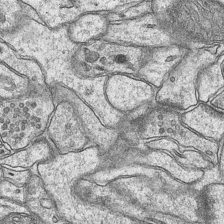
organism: Mouse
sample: CA1 Hippocampus